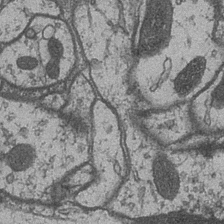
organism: Drosophila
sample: Optic medulla